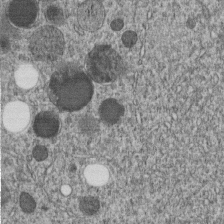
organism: C. elegans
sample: C. elegans embryo early stage